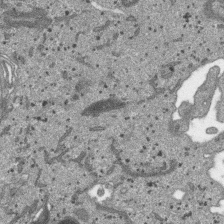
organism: Human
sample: Lung epithelial cells infected with SARS-CoV-2